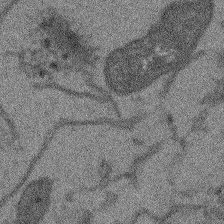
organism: Arabidopsis thaliana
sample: Root tip